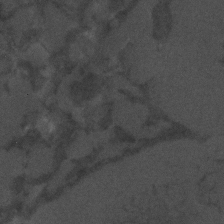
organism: C. elegans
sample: C. elegans embryo